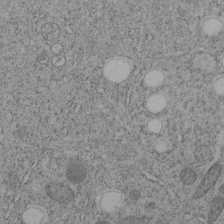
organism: C. elegans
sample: C. elegans embryo early stage